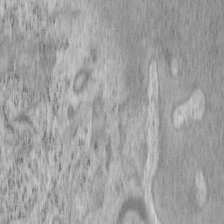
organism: Human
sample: HeLa cells